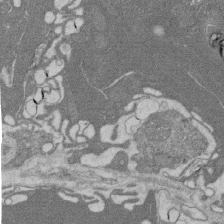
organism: Rat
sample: Salivary granule